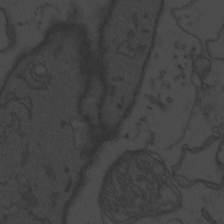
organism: Zebrafish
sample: Macrophage infected with Toxoplasma gondii